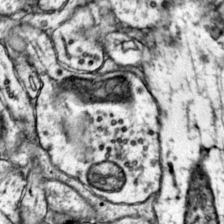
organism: Mouse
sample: Primary visual cortex